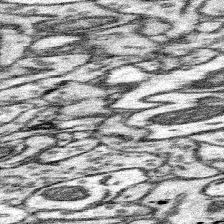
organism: Mouse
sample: Somatosensory cortex neuropil